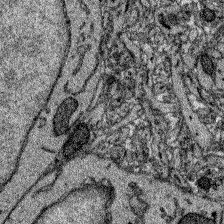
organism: Zebrafish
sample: Larval olfactory bulb